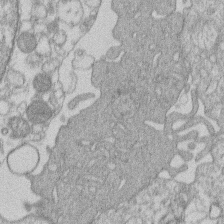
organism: Human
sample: Macrophage cells